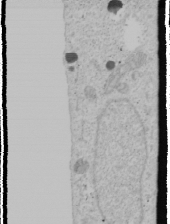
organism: Human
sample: Mitochondria in U2OS cells